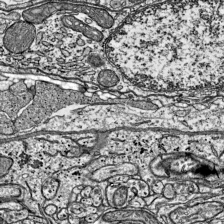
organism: Mouse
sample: Visual Cortex